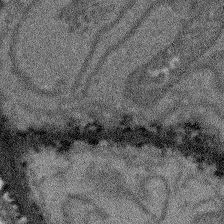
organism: Arabidopsis thaliana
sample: Root tip